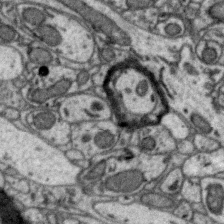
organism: Zebra finch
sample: Brain